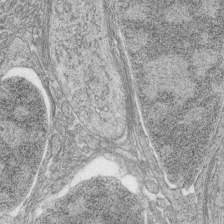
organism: Zebrafish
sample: synaptic ribbons in rod cells and cone cells